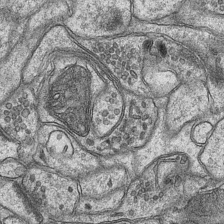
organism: Mouse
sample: CA1 Hippocampus